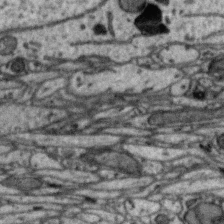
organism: Zebra finch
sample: Brain